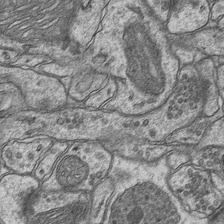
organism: Mouse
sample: CA1 Hippocampus